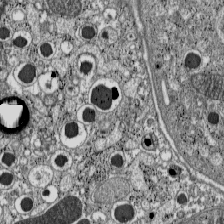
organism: C57BL Mouse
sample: Pancreatic islet